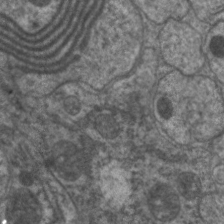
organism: C. elegans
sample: Pharynx